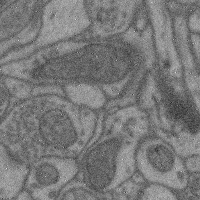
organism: Mouse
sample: Cerebral cortex